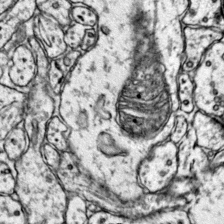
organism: Mouse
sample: Primary visual cortex